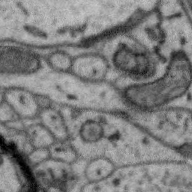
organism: Zebra finch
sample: Brain